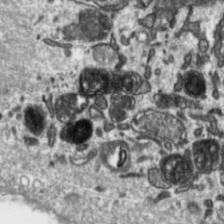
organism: Toxoplasma gondii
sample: Parasites in a vacuole inside a host cell